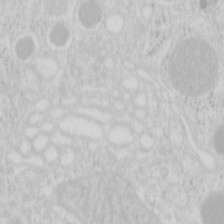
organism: Mouse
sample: Pancreas